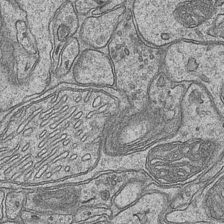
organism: Mouse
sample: CA1 Hippocampus